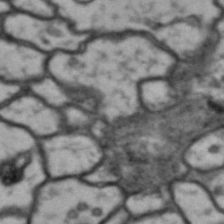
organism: Drosophila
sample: Brain